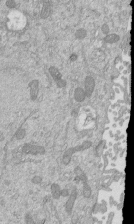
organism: Mouse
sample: ED-1 cell nuclei; centrioles